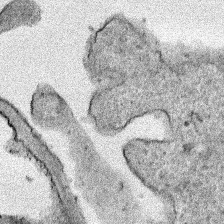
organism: Human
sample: Mitochondria in HCT116 cells